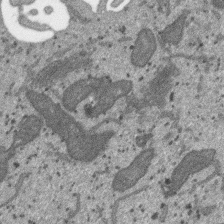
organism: Human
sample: Lung epithelial cells infected with SARS-CoV-2